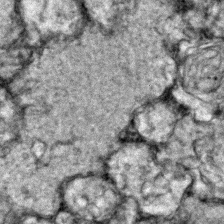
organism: Zebrafish